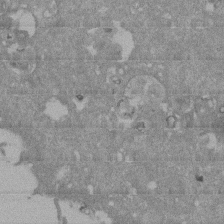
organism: Mouse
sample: ED-1 cell nuclei; centrioles